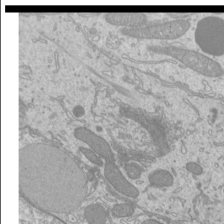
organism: Mouse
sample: Cilia; mouse epididymis